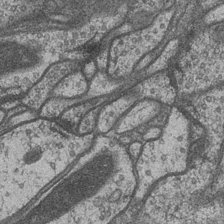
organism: Drosophila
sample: Optic medulla